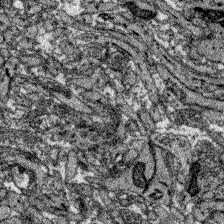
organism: Zebrafish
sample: Larval olfactory bulb